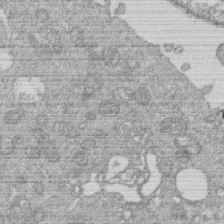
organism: Human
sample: Macrophage cells